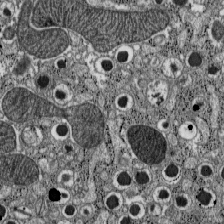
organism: C57BL Mouse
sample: Pancreatic islet